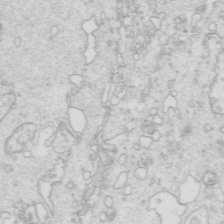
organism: Mouse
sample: Multiciliated cells